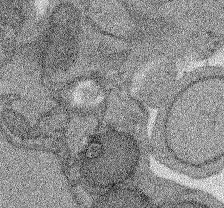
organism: Human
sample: HeLa cells